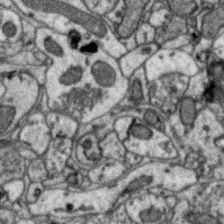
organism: Zebra finch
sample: Brain